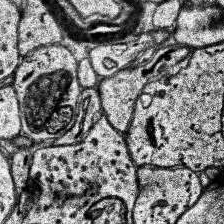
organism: Human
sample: Temporal Lobe